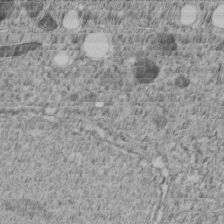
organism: C. elegans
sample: C. elegans embryo early stage